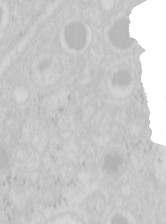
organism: Mouse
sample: Pancreas